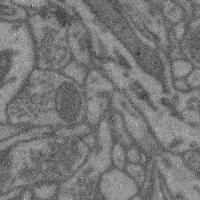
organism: Mouse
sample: Cerebral cortex